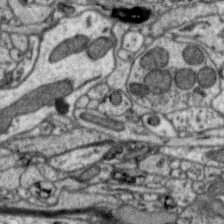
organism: Zebra finch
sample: Brain